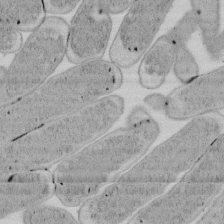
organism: E. coli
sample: Bacterial nucleoid